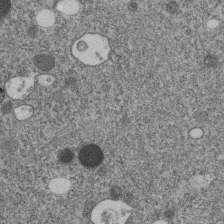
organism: C. elegans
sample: C. elegans embryo early stage